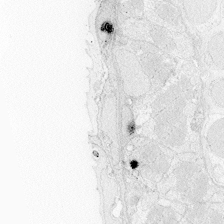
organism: Zebrafish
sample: Whole-Brain